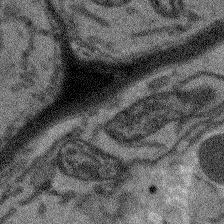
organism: Arabidopsis thaliana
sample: Root tip